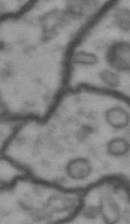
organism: Drosophila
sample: Brain